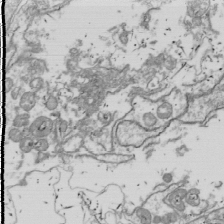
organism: Drosophila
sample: Cell division; meiosis; drosophila spermatocytes